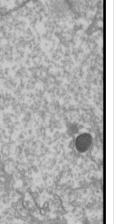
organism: Drosophila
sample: Cell division; meiosis; drosophila spermatocytes